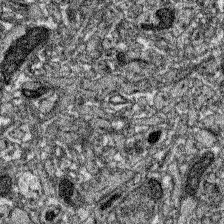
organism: Zebrafish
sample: Larval olfactory bulb